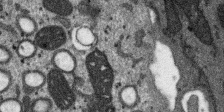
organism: Human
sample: Lung epithelial cells infected with SARS-CoV-2